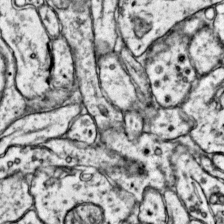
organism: Mouse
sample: Primary visual cortex